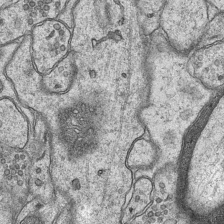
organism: Mouse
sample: CA1 Hippocampus